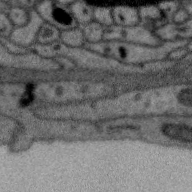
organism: Zebra finch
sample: Brain